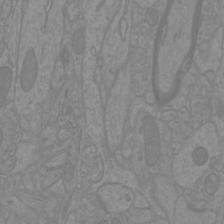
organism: Mouse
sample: Cortical neurons